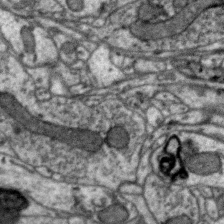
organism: Zebra finch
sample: Brain